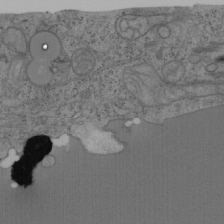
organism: Human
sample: HeLa cells